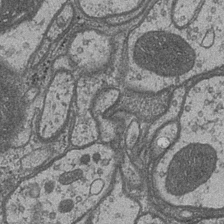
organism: Drosophila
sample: Optic medulla